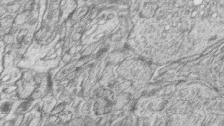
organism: Zebrafish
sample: synaptic ribbons in rod cells and cone cells